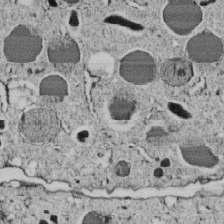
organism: C. elegans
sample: C. elegans embryo early stage